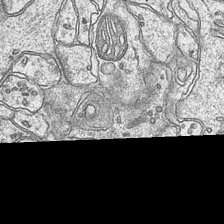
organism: Mouse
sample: CA1 Hippocampus